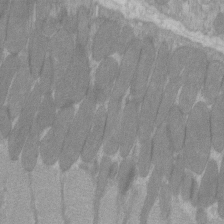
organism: C57BL Mouse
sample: Tibialis anterior muscle cell